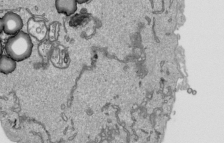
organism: Human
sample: Mitochondria in HCT116 cells